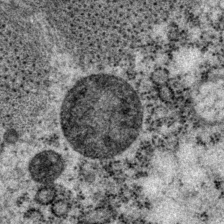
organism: P. pacificus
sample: Pharynx